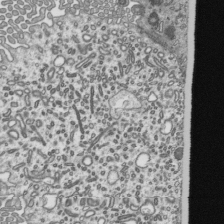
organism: Mouse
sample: Mouse epididymis efferent ductule cilia